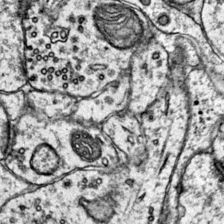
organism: Mouse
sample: Primary visual cortex